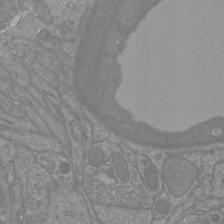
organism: Mouse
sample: Cortical neurons